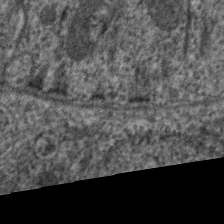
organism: C. elegans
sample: Pharynx